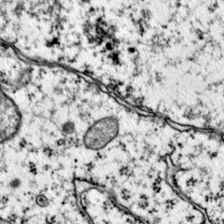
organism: Mouse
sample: Primary visual cortex